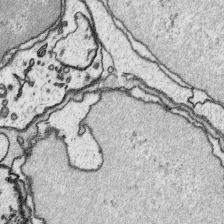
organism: Platynereis dumerilii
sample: Parapodia